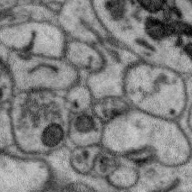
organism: Zebra finch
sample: Brain